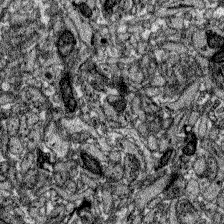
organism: Zebrafish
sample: Larval olfactory bulb